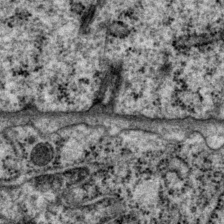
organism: P. pacificus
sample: Pharynx